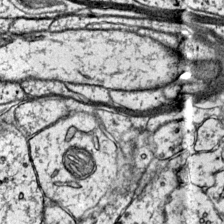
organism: Mouse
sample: Primary visual cortex